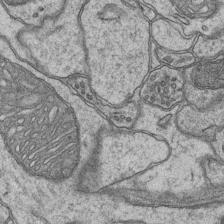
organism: Mouse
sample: CA1 Hippocampus